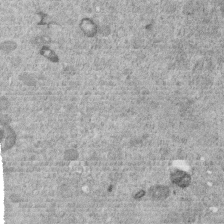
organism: C. elegans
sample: C. elegans embryo early stage